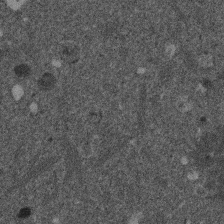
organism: Mouse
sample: Dividing mouse embryo 1 cell stage